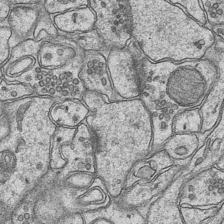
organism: Mouse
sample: CA1 Hippocampus